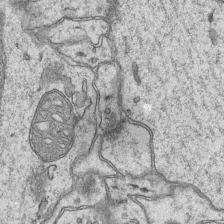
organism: Mouse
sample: CA1 Hippocampus